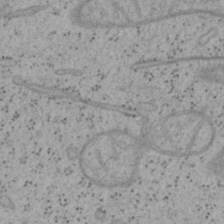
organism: Human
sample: HeLa cells